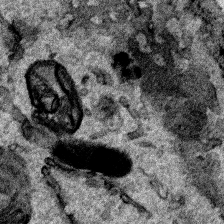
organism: Human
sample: Mitochondria in HCT116 cells